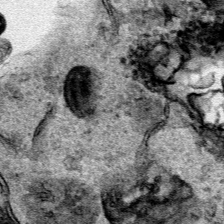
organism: Human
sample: Mitochondria in HCT116 cells